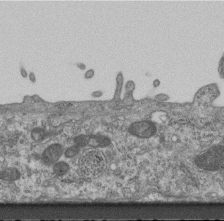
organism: Mouse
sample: Centriole in ependymal cells